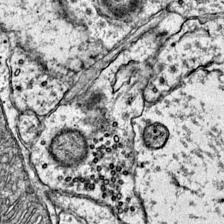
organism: Mouse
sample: Primary visual cortex